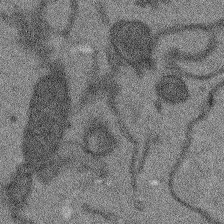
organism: Arabidopsis thaliana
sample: Root tip